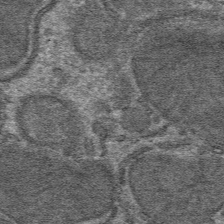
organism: Mouse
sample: Mouse hepatocytes